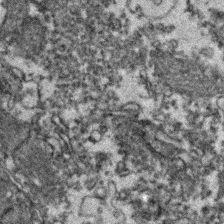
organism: Zebrafish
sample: Zebrafish embryo